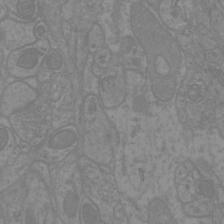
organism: Mouse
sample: Cortical neurons